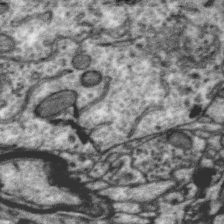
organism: Zebra finch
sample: Brain